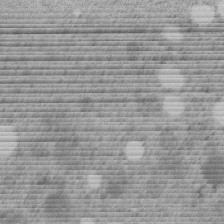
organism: C. elegans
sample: C. elegans embryo early stage